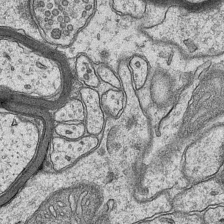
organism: Mouse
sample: CA1 Hippocampus